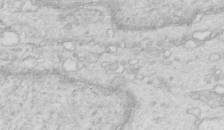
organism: Mouse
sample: Multiciliated cells